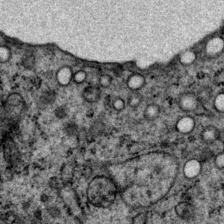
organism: P. pacificus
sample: Pharynx